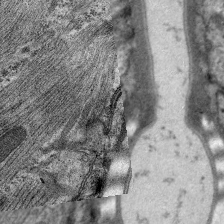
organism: C. elegans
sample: Pharynx